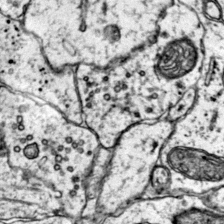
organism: Mouse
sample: Primary visual cortex